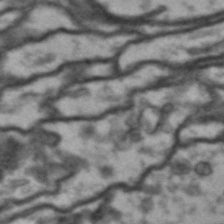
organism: Drosophila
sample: Brain